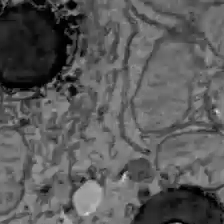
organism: C57BL Mouse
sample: Liver